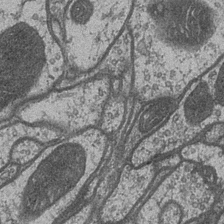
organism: Drosophila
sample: Optic medulla